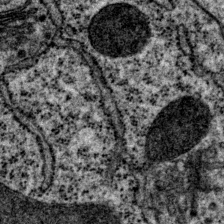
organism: P. pacificus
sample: Pharynx